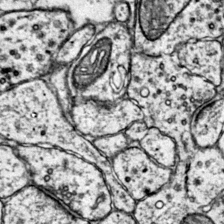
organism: Mouse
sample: Primary visual cortex